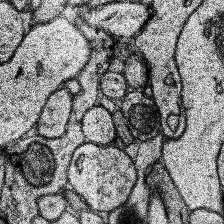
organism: Human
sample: Temporal Lobe